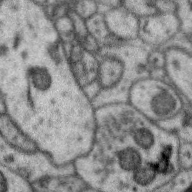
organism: Zebra finch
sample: Brain